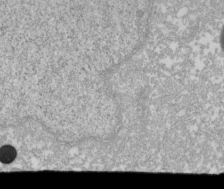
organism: Xenopus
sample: Cilia; centrioles in frog embryo cells